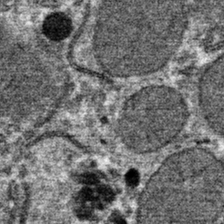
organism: Mouse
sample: Mouse hepatocytes